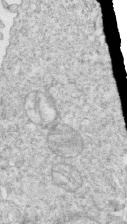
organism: Human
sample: HeLa cell HIV synapse